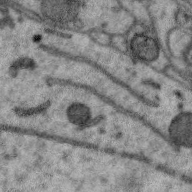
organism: Zebra finch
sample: Brain